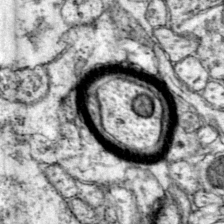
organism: Mouse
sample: Primary visual cortex